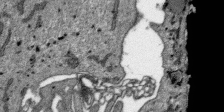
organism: Human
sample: Lung epithelial cells, uninfected (mock) control